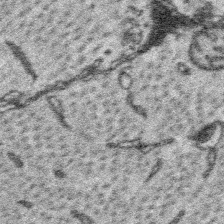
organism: Platynereis dumerilii